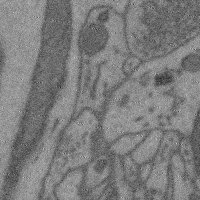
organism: Mouse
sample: Cerebral cortex